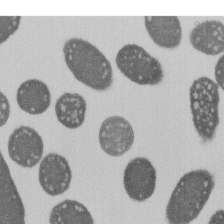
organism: E. coli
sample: Bacterial nucleoid